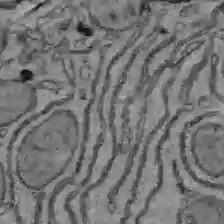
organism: C57BL Mouse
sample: Liver